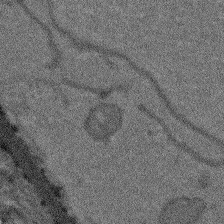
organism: Arabidopsis thaliana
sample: Root tip